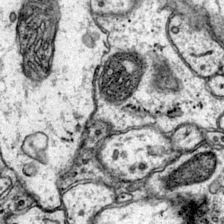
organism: Mouse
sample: Primary visual cortex